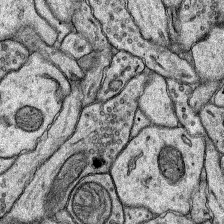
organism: Rat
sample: Hippocampus